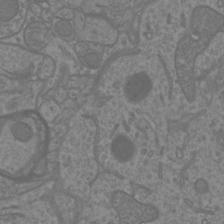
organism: Mouse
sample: Cortical neurons